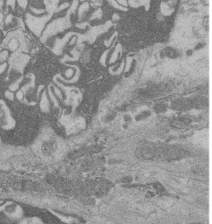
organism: Rat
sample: Salivary granule